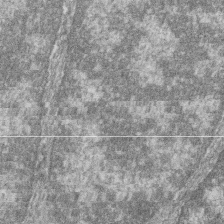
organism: Zebrafish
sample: Cilia; retinal pigment epithelium